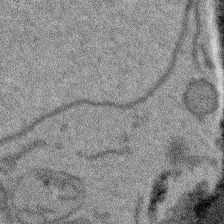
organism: Arabidopsis thaliana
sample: Root tip